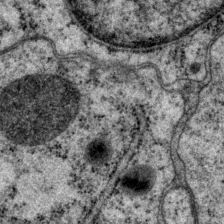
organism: P. pacificus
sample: Pharynx